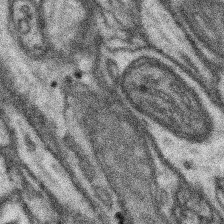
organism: Mouse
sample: Somatosensory cortex neuropil